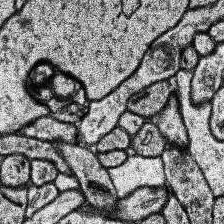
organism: Human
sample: Temporal Lobe